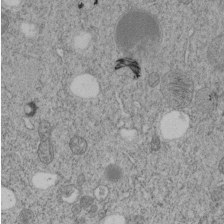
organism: C. elegans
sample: C. elegans embryo early stage